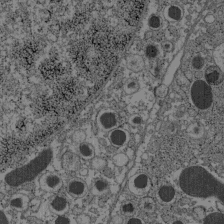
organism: C57BL Mouse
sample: Pancreatic islet